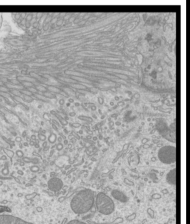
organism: Mouse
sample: Cilia; mouse epididymis